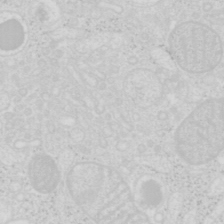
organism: Mouse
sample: Pancreas